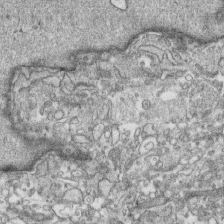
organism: Human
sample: CRL-1474